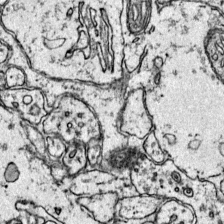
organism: Mouse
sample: Primary visual cortex